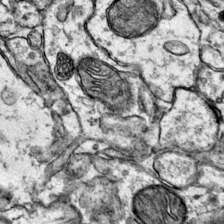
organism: Mouse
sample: Primary visual cortex